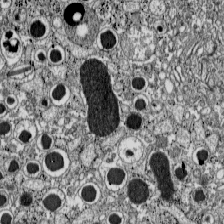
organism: C57BL Mouse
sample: Pancreatic islet